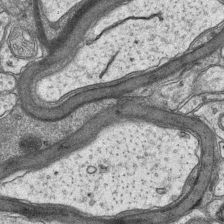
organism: Mouse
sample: CA1 Hippocampus